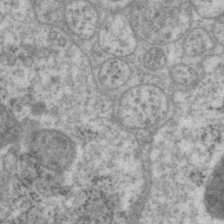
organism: P. pacificus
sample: Pharynx